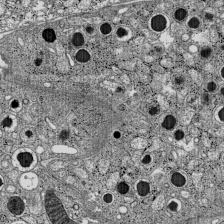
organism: C57BL Mouse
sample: Pancreatic islet